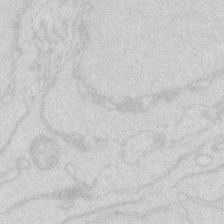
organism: Zebrafish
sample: Macrophage